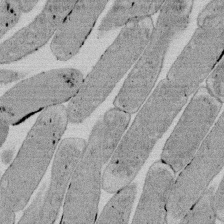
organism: E. coli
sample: Bacterial nucleoid